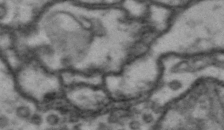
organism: Drosophila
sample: Brain